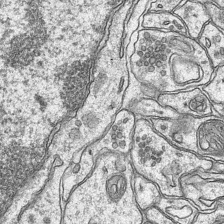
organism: Mouse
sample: CA1 Hippocampus